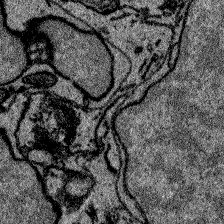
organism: Zebrafish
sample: Larval olfactory bulb